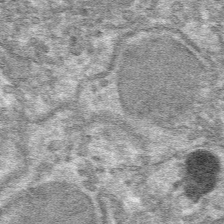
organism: Mouse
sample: Mouse hepatocytes